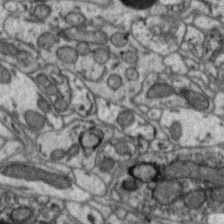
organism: Zebra finch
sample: Brain